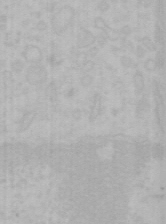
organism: Mouse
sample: Choroid plexus